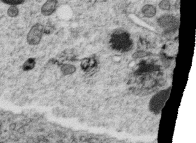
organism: C. elegans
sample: C. elegans oocyte; sperm cells